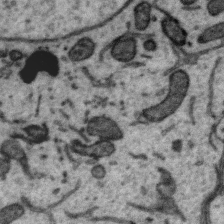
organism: Zebra finch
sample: Brain